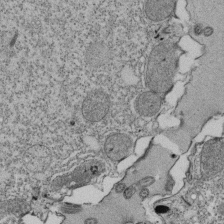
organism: Tetrahymena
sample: Cilia in tetrahymena